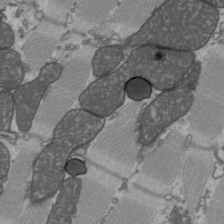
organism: C57BL Mouse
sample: Heart